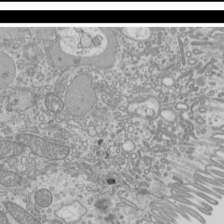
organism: Mouse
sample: Cilia; mouse epididymis